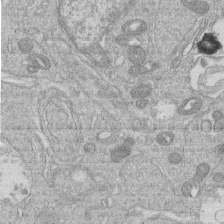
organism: Human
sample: Macrophage cells